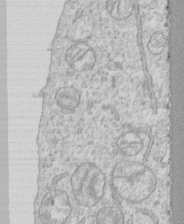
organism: Human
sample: CRL-1474